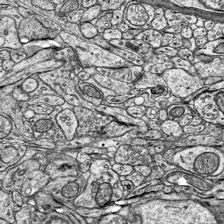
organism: Mouse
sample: Visual Cortex